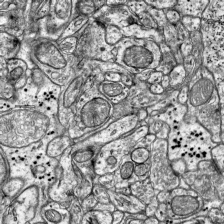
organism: Mouse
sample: Visual Cortex